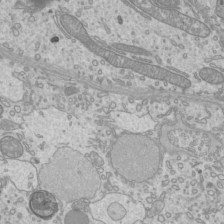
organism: Mouse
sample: Cilia; mouse epididymis